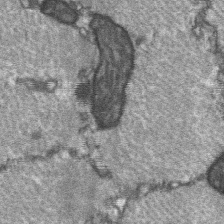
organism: C57BL Mouse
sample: Soleus